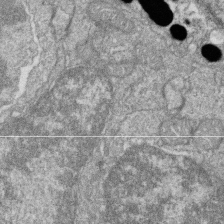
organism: Zebrafish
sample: Cilia; retinal pigment epithelium